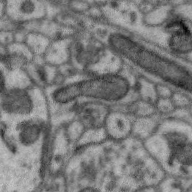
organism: Zebra finch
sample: Brain